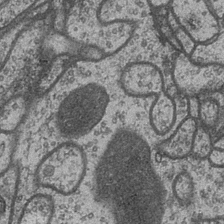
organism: Drosophila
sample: Optic medulla